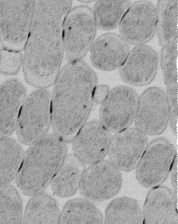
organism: E. coli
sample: Bacterial nucleoid